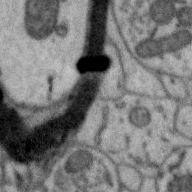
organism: Zebra finch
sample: Brain